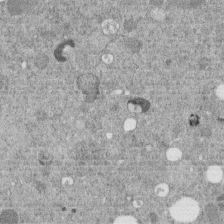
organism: C. elegans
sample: C. elegans embryo early stage